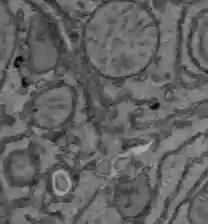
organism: C57BL Mouse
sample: Liver